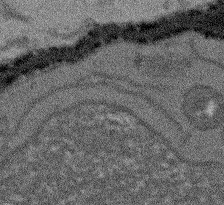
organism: Arabidopsis thaliana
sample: Root tip